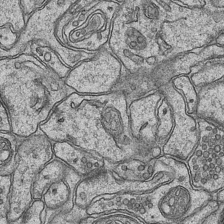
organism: Mouse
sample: CA1 Hippocampus